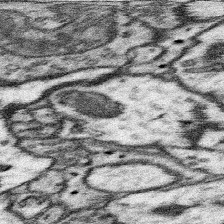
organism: Mouse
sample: Somatosensory cortex neuropil